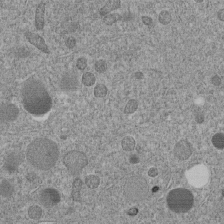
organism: C. elegans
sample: C. elegans embryo early stage